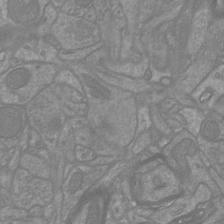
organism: Mouse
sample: Cortical neurons